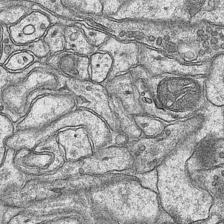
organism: Mouse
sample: CA1 Hippocampus